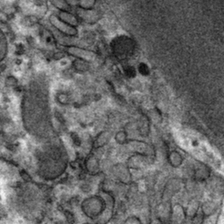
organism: Mouse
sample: Mouse hepatocytes